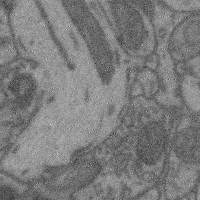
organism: Mouse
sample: Cerebral cortex